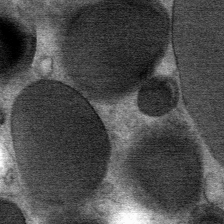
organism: Mouse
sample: Mouse Salivary gland